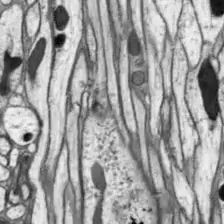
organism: Drosophila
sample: Optic lobe